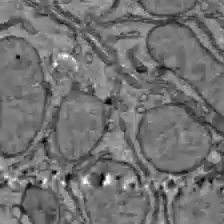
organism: C57BL Mouse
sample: Liver